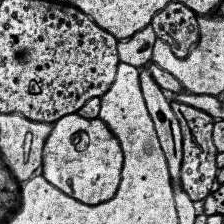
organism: Human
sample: Temporal Lobe